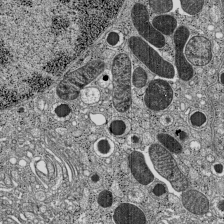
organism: C57BL Mouse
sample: Pancreatic islet